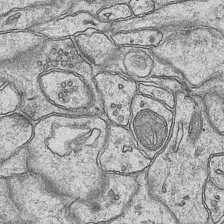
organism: Mouse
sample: CA1 Hippocampus